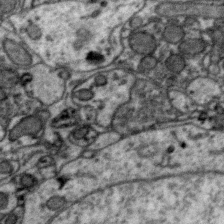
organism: Zebra finch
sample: Brain